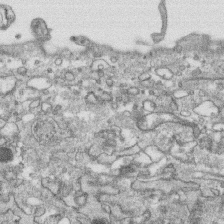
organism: Human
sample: CRL-1474